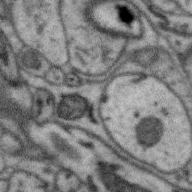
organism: Zebra finch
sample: Brain